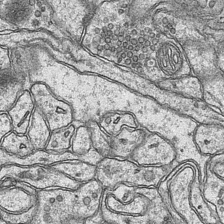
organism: Mouse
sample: CA1 Hippocampus